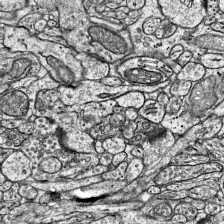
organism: Mouse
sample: Visual Cortex